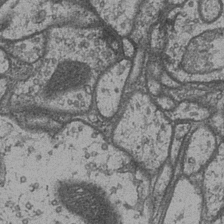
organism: Drosophila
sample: Optic medulla